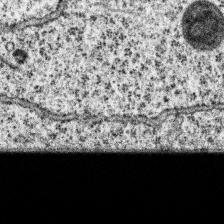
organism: Human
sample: HeLa cells